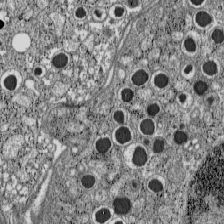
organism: C57BL Mouse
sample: Pancreatic islet